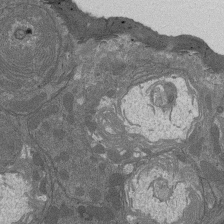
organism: Drosophila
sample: Antenna